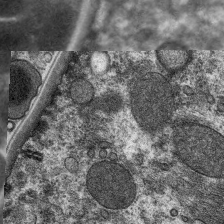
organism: C. elegans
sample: Pharynx